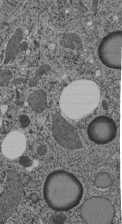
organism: C. elegans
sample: C. elegans pharynx